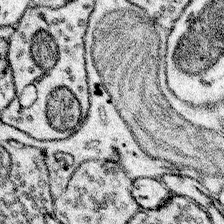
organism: Mouse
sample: Somatosensory cortex neuropil